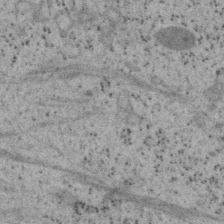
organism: Human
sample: HeLa cells